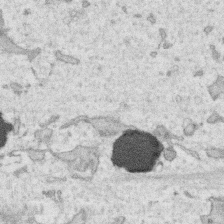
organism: Human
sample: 1205lu cells